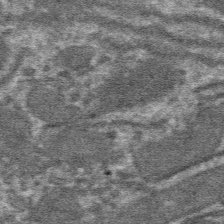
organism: Mouse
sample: Mouse hepatocytes